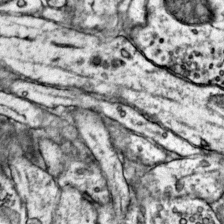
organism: Mouse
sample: Primary visual cortex